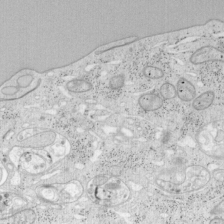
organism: Mouse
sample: OT-I killer T cells with ID8 ovarian cancer cells